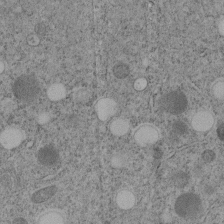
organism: C. elegans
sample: C. elegans embryo early stage